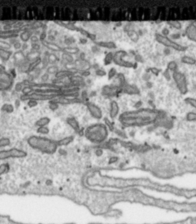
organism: Toxoplasma gondii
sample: Parasites in a vacuole inside a host cell